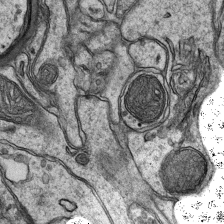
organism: Mouse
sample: CA1 Hippocampus